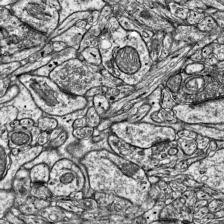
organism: Mouse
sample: Visual Cortex